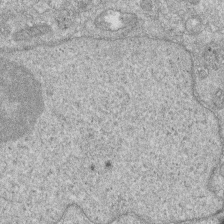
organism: Human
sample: HeLa cell HIV synapse